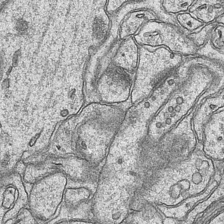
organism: Mouse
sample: CA1 Hippocampus